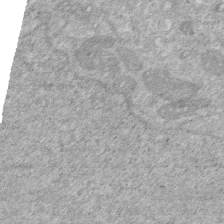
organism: Human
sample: HIV infected U937 cells